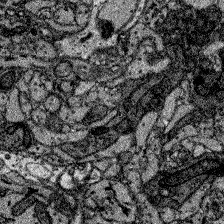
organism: Zebrafish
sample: Larval olfactory bulb